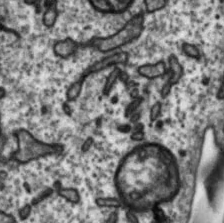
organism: Human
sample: HeLa cells